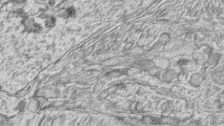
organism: Zebrafish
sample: synaptic ribbons in rod cells and cone cells